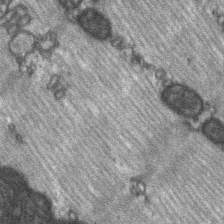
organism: C57BL Mouse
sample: Soleus